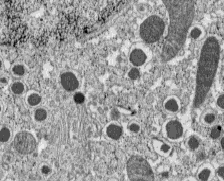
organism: C57BL Mouse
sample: Pancreatic islet